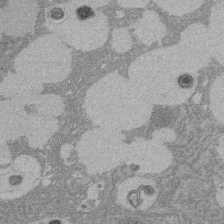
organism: Rat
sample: Salivary granule